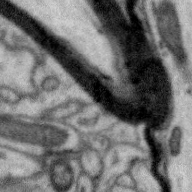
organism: Zebra finch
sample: Brain